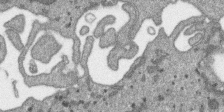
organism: Human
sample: Lung epithelial cells infected with SARS-CoV-2